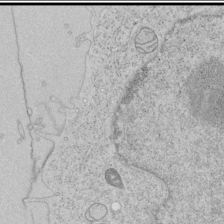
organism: Human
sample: Mitochondria in HCT116 cells